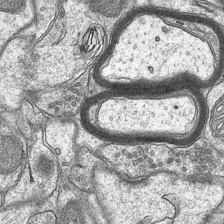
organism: Mouse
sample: CA1 Hippocampus